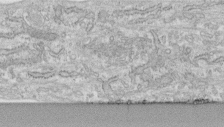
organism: Human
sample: Centriole in fibroblast cells